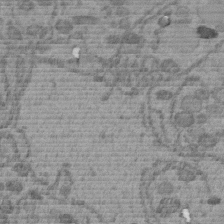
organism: C. elegans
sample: C. elegans embryo early stage